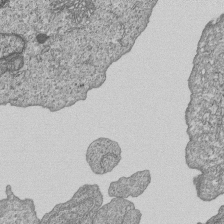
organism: Human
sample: MDA-MB-231 cells